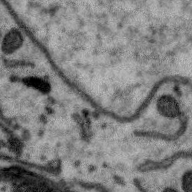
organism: Zebra finch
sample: Brain